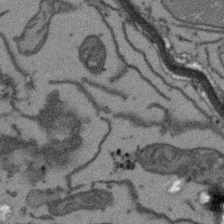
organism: Arabidopsis thaliana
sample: Root tip